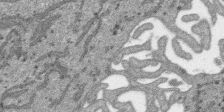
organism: Human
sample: Lung epithelial cells infected with SARS-CoV-2